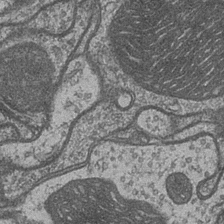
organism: Drosophila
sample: Optic medulla